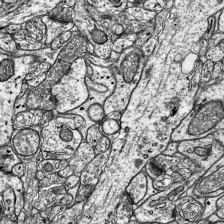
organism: Mouse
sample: Visual Cortex